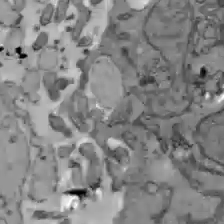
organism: C57BL Mouse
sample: Liver